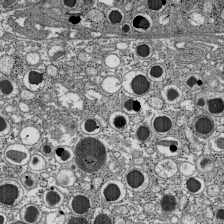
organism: C57BL Mouse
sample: Pancreatic islet